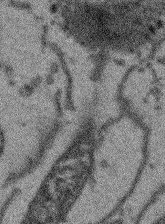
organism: Arabidopsis thaliana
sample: Root tip